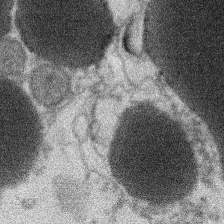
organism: Xenopus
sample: Cilia; centrioles in frog embryo cells